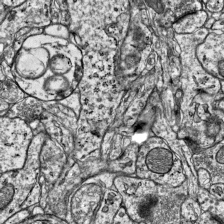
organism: Mouse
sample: Visual Cortex